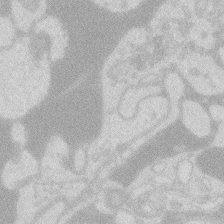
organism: Zebrafish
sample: Macrophage